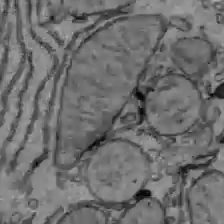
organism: C57BL Mouse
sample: Liver